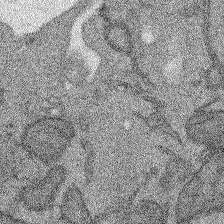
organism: Human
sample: HeLa cells